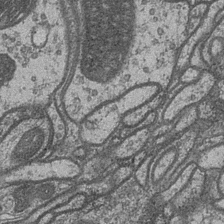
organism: Drosophila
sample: Optic medulla